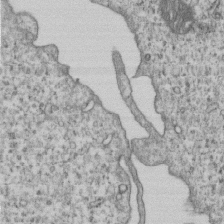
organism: Human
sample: MDA-MB-231 cells